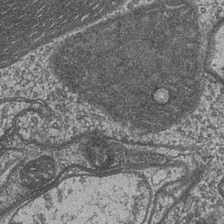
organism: Drosophila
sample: Optic medulla